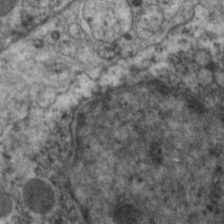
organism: C. elegans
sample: Pharynx